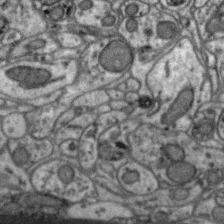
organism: Zebra finch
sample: Brain